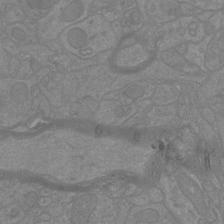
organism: Mouse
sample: Cortical neurons